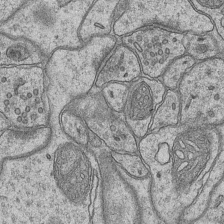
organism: Mouse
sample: CA1 Hippocampus